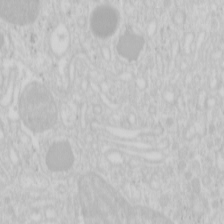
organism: Mouse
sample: Pancreas